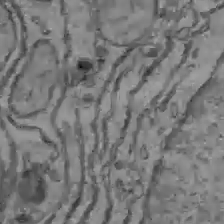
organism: C57BL Mouse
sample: Liver